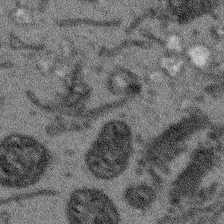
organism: Arabidopsis thaliana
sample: Root tip